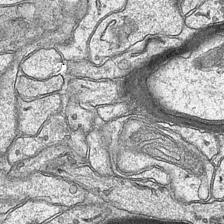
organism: Mouse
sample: CA1 Hippocampus